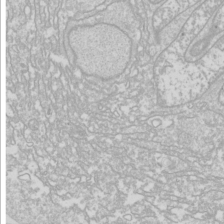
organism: Drosophila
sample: Cell division; meiosis; drosophila spermatocytes